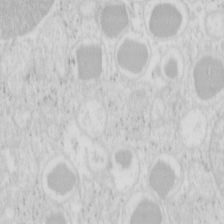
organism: Mouse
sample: Pancreas